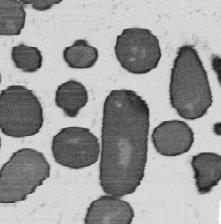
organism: B. subtilis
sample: Bacterial spore